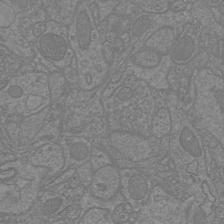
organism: Mouse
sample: Cortical neurons